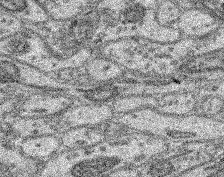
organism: Mouse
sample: Retina